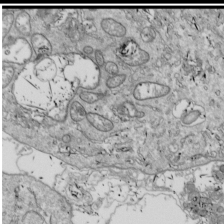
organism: Drosophila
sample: Cell division; meiosis; drosophila spermatocytes